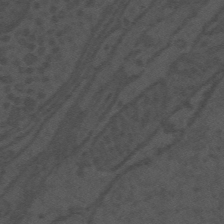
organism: Mouse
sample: Suprachiasmatic nucleus